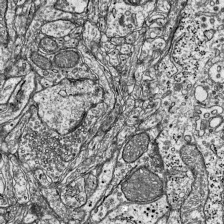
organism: Mouse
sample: Visual Cortex